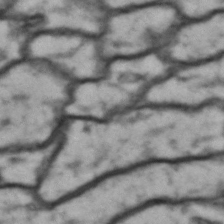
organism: Drosophila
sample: Brain